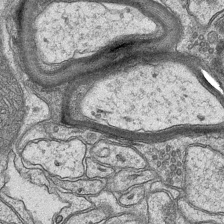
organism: Mouse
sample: CA1 Hippocampus